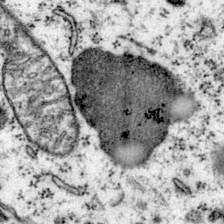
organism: Mouse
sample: Primary visual cortex